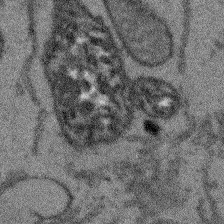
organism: Arabidopsis thaliana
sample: Root tip